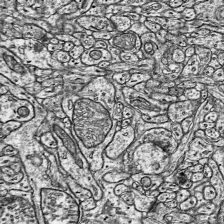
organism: Mouse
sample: Visual Cortex